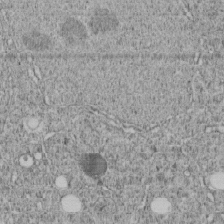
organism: C. elegans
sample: C. elegans embryo early stage